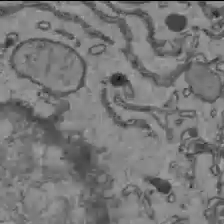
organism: C57BL Mouse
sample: Liver